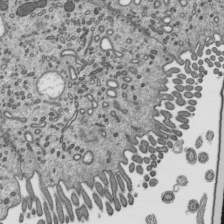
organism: Mouse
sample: Mouse epididymis efferent ductule cilia